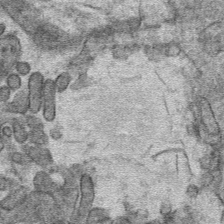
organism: Mouse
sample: Mouse hepatocytes